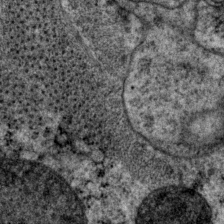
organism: P. pacificus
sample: Pharynx